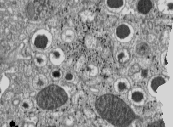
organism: C57BL Mouse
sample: Pancreatic islet